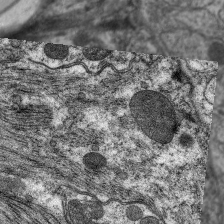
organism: C. elegans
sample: Pharynx